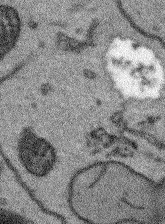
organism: Arabidopsis thaliana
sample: Root tip